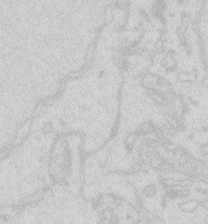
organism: Zebrafish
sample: Macrophage